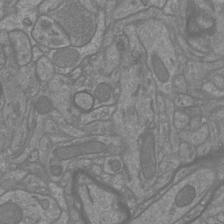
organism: Mouse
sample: Cortical neurons